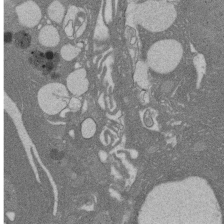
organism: Rat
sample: Salivary granule